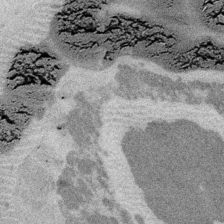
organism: Embia sp.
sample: Silk gland